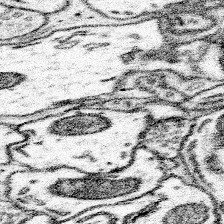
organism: Mouse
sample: Somatosensory cortex neuropil